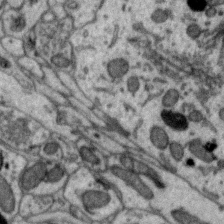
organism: Zebra finch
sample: Brain